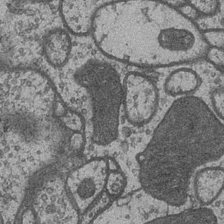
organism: Drosophila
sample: Optic medulla